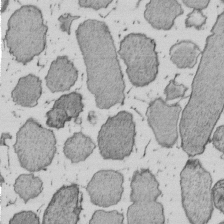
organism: E. coli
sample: Bacterial nucleoid